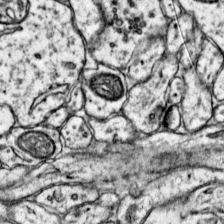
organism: Mouse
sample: Primary visual cortex